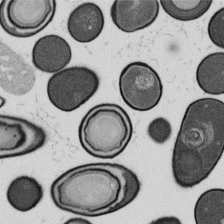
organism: B. subtilis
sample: Bacterial spore